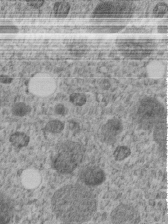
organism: C. elegans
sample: C. elegans embryo early stage